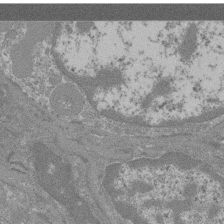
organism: Mouse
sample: Glomerulus